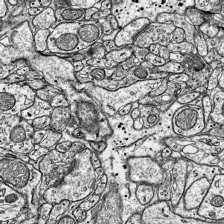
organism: Mouse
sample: Visual Cortex